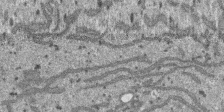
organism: Human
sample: Lung epithelial cells infected with SARS-CoV-2